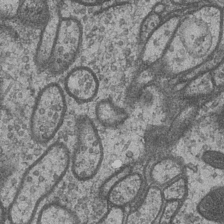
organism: Drosophila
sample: Optic medulla